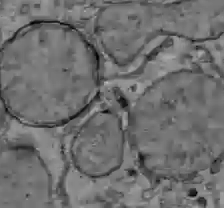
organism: C57BL Mouse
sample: Liver